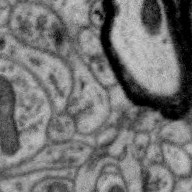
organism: Zebra finch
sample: Brain